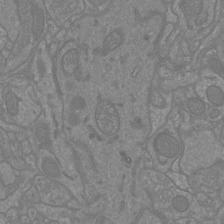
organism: Mouse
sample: Cortical neurons